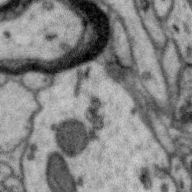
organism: Zebra finch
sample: Brain